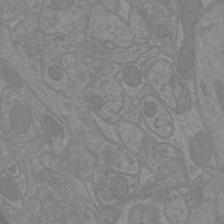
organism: Mouse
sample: Cortical neurons